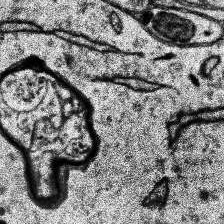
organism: Human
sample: Temporal Lobe